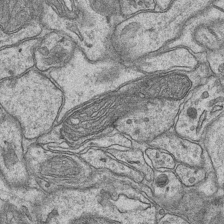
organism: Mouse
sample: CA1 Hippocampus